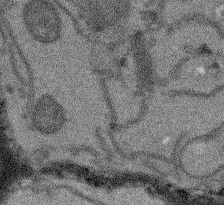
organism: Arabidopsis thaliana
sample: Root tip